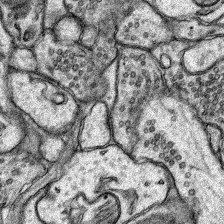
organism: Rat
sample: Hippocampus